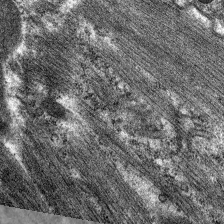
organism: C. elegans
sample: Pharynx